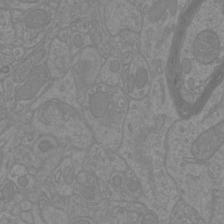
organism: Mouse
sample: Cortical neurons